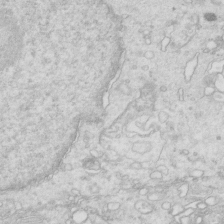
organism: Mouse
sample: Multiciliated cells